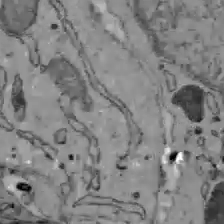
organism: C57BL Mouse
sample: Liver